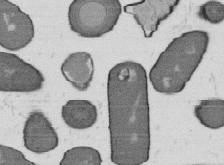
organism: B. subtilis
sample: Bacterial spore